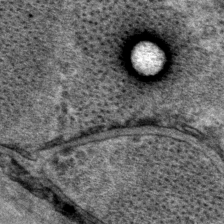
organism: P. pacificus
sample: Pharynx